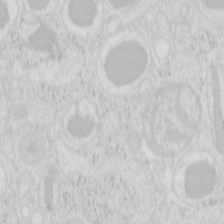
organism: Mouse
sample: Pancreas